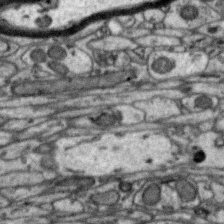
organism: Zebra finch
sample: Brain